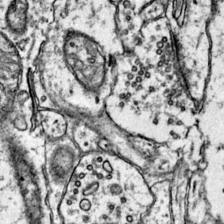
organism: Mouse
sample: Primary visual cortex